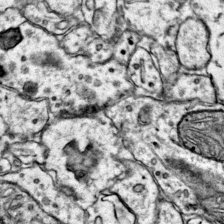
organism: Mouse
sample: Primary visual cortex